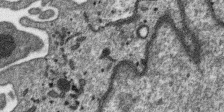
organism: Human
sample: Lung epithelial cells infected with SARS-CoV-2